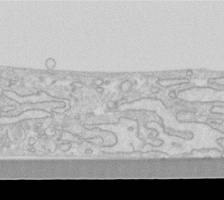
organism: Human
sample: Fibroblast cells